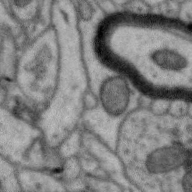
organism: Zebra finch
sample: Brain